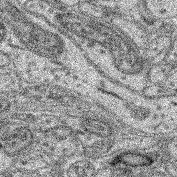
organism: Mouse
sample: Retina